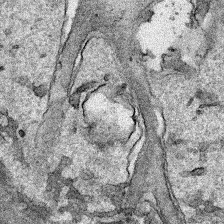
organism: Human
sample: Mitochondria in HCT116 cells